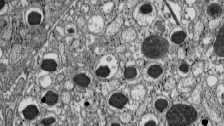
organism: C57BL Mouse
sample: Pancreatic islet